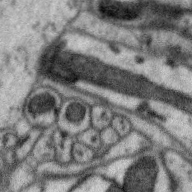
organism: Zebra finch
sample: Brain